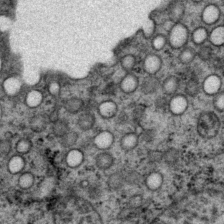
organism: P. pacificus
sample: Pharynx